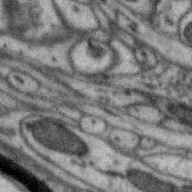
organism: Zebra finch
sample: Brain